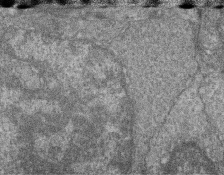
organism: Zebrafish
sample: Cilia; retinal pigment epithelium